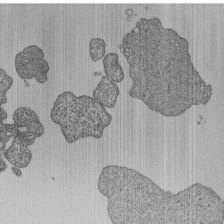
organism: Human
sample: MDA-MB-231 cells